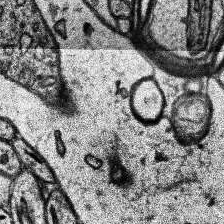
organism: Human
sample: Temporal Lobe